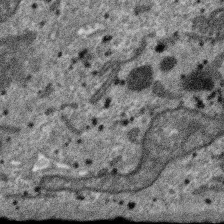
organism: Human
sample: Lung epithelial cells infected with SARS-CoV-2